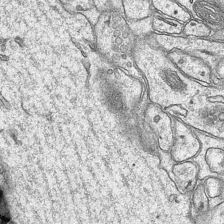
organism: Mouse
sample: CA1 Hippocampus